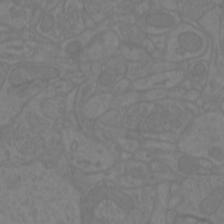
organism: Mouse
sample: Cortical neurons